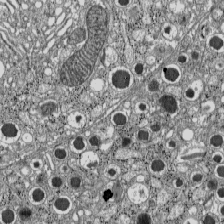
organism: C57BL Mouse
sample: Pancreatic islet